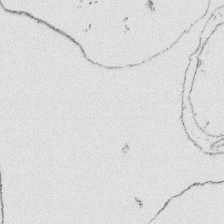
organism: Platynereis dumerilii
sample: Parapodia